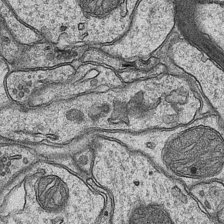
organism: Mouse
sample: CA1 Hippocampus